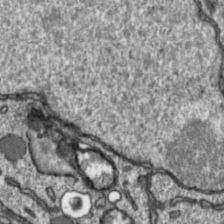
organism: Toxoplasma gondii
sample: Parasites in a vacuole inside a host cell